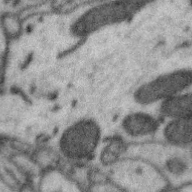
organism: Zebra finch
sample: Brain